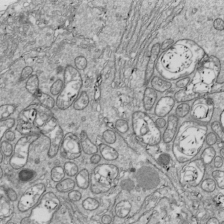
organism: Drosophila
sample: Cell division; meiosis; drosophila spermatocytes